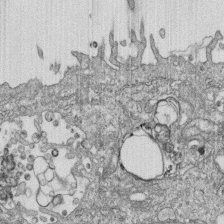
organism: Human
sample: HeLa cell HIV synapse